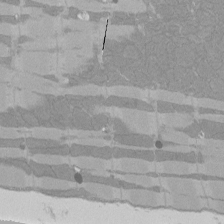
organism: Rat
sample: Left ventricle